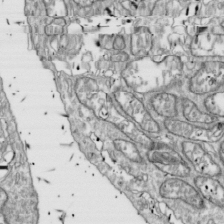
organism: Drosophila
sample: Cell division; meiosis; drosophila spermatocytes